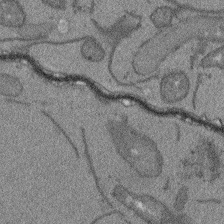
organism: Arabidopsis thaliana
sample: Root tip